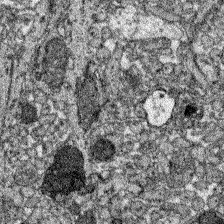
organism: Zebrafish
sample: Larval olfactory bulb